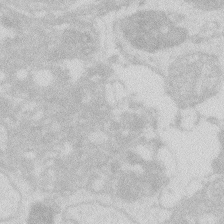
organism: Zebrafish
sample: Macrophage